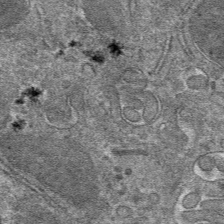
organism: Mouse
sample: Mouse hepatocytes